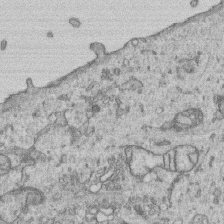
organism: Human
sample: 1205lu cells